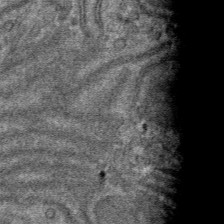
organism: Mouse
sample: Mouse hepatocytes